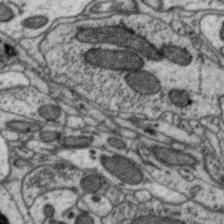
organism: Zebra finch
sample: Brain